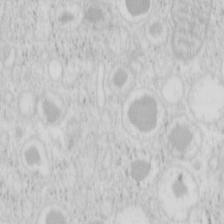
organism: Mouse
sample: Pancreas